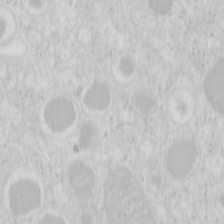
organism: Mouse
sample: Pancreas